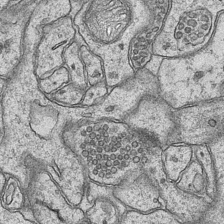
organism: Mouse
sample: CA1 Hippocampus